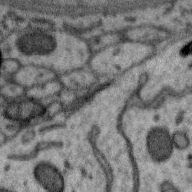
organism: Zebra finch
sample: Brain